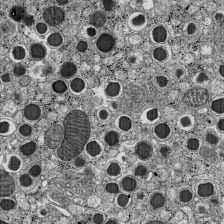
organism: C57BL Mouse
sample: Pancreatic islet